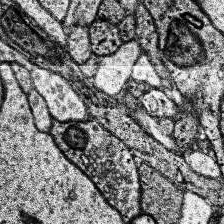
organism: Human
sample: Temporal Lobe